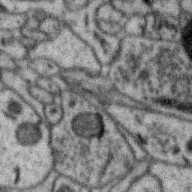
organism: Zebra finch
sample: Brain